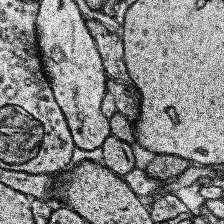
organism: Human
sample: Temporal Lobe